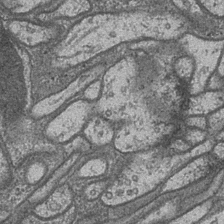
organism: Drosophila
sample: Optic medulla